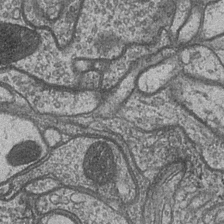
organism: Drosophila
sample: Optic medulla